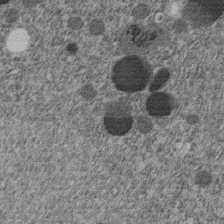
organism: C. elegans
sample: C. elegans embryo early stage